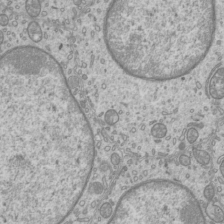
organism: Mouse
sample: Cilia; mouse epididymis